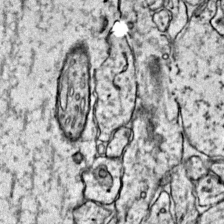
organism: Mouse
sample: Primary visual cortex